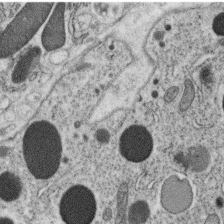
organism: C. elegans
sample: C. elegans oocyte; sperm cells